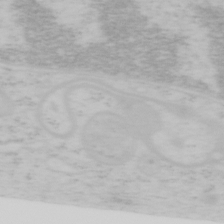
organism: Mouse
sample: OT-I killer T cells with ID8 ovarian cancer cells